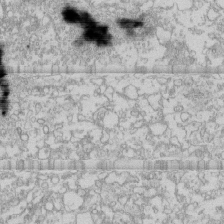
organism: Human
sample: CRL-1474